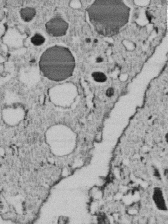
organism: C. elegans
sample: C. elegans embryo early stage